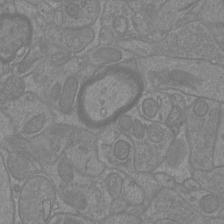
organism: Mouse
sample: Cortical neurons